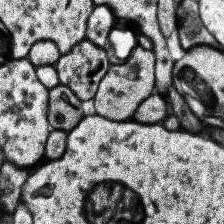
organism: Human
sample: Temporal Lobe